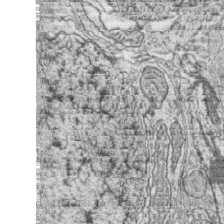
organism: Zebrafish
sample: synaptic ribbons in rod cells and cone cells